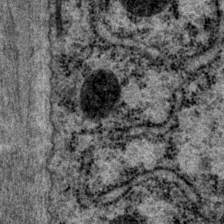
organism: P. pacificus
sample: Pharynx